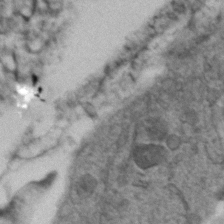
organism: Zebrafish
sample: Zebrafish embryo